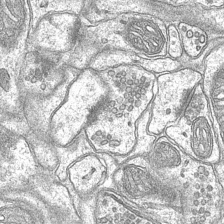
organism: Mouse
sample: CA1 Hippocampus